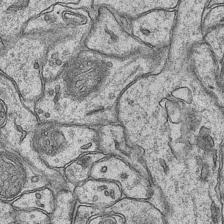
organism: Mouse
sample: CA1 Hippocampus